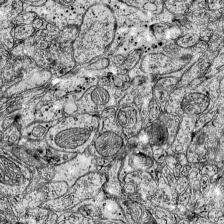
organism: Mouse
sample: Visual Cortex